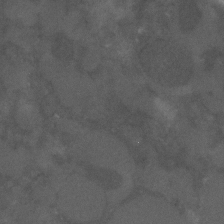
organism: C. elegans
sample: C. elegans embryo